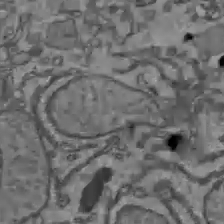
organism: C57BL Mouse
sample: Liver